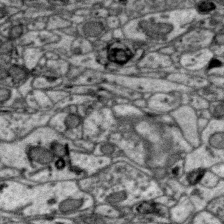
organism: Zebra finch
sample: Brain